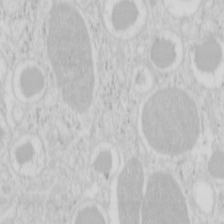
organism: Mouse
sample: Pancreas